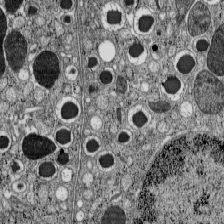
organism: C57BL Mouse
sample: Pancreatic islet